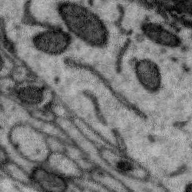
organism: Zebra finch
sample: Brain